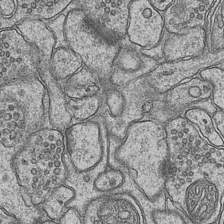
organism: Mouse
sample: CA1 Hippocampus